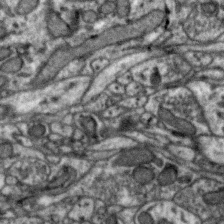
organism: Zebra finch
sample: Brain